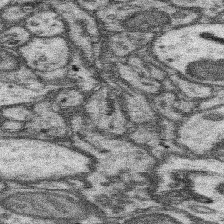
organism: Mouse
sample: Somatosensory cortex neuropil